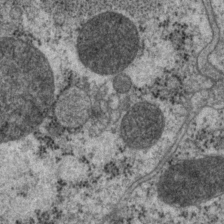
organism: P. pacificus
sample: Pharynx